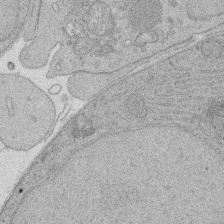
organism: Rat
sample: Salivary granule